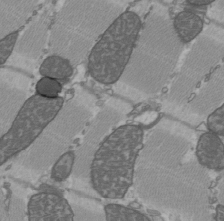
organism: C57BL Mouse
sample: Heart